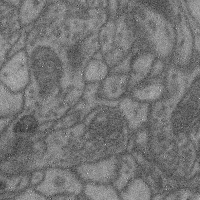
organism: Mouse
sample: Cerebral cortex